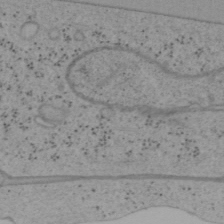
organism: Human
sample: HeLa cells